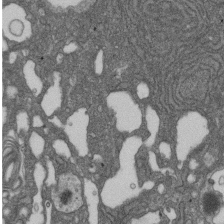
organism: Drosophila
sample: Nephrocyte